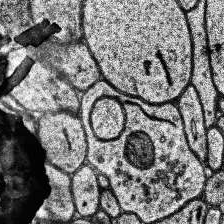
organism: Human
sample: Temporal Lobe